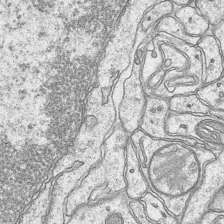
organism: Mouse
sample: CA1 Hippocampus